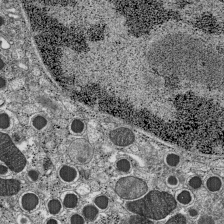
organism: C57BL Mouse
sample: Pancreatic islet